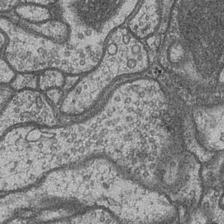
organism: Drosophila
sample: Optic medulla